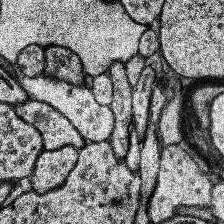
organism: Human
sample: Temporal Lobe